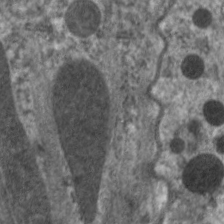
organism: C. elegans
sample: Pharynx